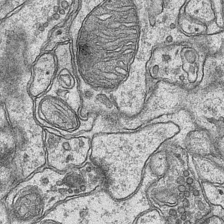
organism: Mouse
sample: CA1 Hippocampus